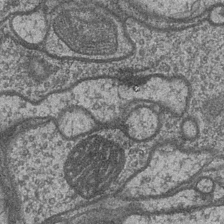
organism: Drosophila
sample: Optic medulla